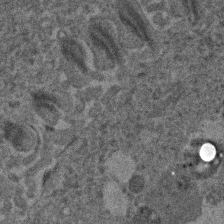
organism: Human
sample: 1205lu cells